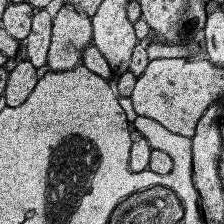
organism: Human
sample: Temporal Lobe